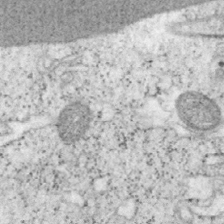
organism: Mouse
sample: OT-I killer T cells with ID8 ovarian cancer cells